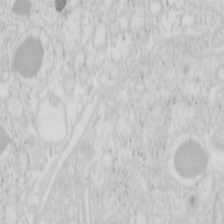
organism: Mouse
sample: Pancreas